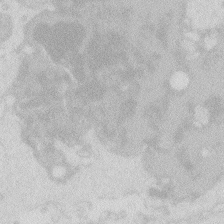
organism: Zebrafish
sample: Macrophage